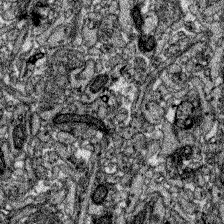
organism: Zebrafish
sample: Larval olfactory bulb